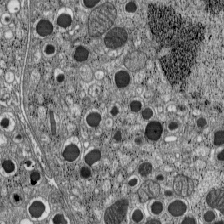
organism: C57BL Mouse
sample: Pancreatic islet